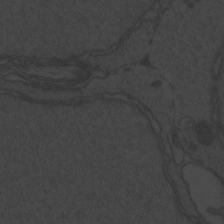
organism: Zebrafish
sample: Macrophage infected with Toxoplasma gondii